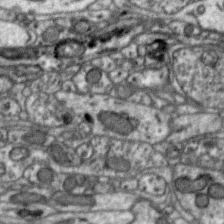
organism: Zebra finch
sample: Brain